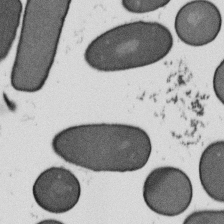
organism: B. subtilis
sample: Bacterial spore